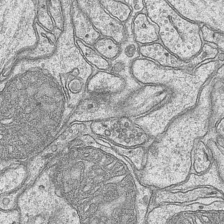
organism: Mouse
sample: CA1 Hippocampus